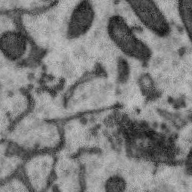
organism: Zebra finch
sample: Brain